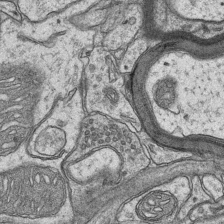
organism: Mouse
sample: CA1 Hippocampus